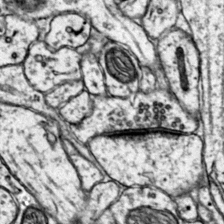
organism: Mouse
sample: Primary visual cortex